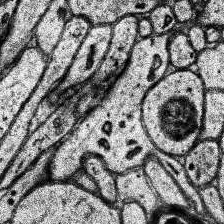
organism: Human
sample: Temporal Lobe